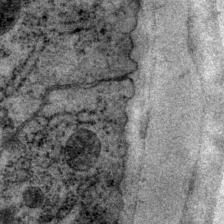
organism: P. pacificus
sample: Pharynx